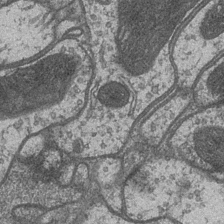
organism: Drosophila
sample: Optic medulla